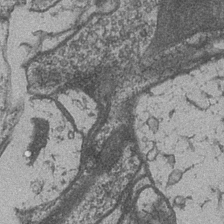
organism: Drosophila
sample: Optic medulla